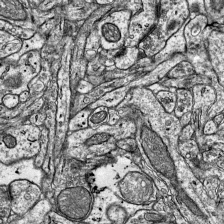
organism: Mouse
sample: Visual Cortex